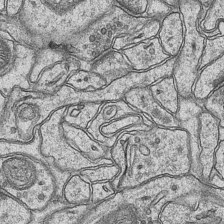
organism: Mouse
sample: CA1 Hippocampus